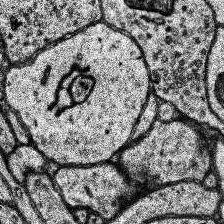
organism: Human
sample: Temporal Lobe